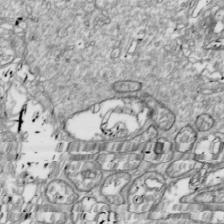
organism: Drosophila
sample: Cell division; meiosis; drosophila spermatocytes